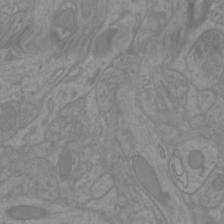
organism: Mouse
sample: Cortical neurons